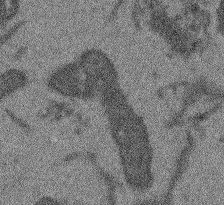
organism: Arabidopsis thaliana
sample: Root tip